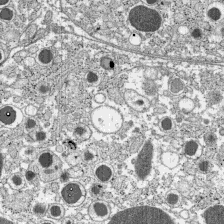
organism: C57BL Mouse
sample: Pancreatic islet